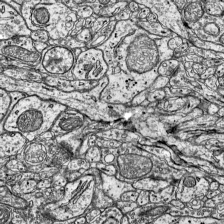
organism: Mouse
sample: Visual Cortex